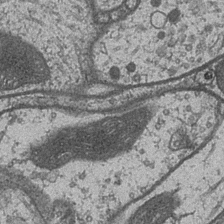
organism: Drosophila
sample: Optic medulla